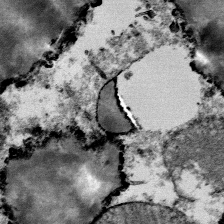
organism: Mouse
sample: Mouse Salivary gland